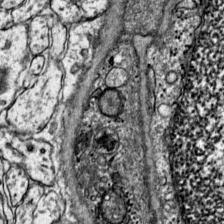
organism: Mouse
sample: Primary visual cortex